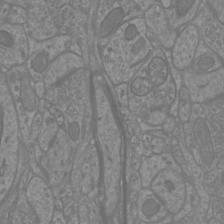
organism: Mouse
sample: Cortical neurons